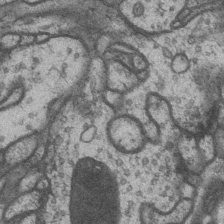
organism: Drosophila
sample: Optic medulla